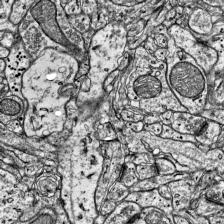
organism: Mouse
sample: Visual Cortex